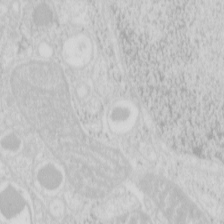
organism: Mouse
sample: Pancreas